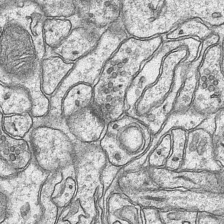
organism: Mouse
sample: CA1 Hippocampus